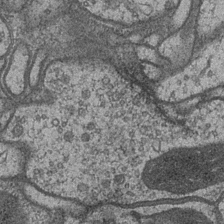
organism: Drosophila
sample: Optic medulla